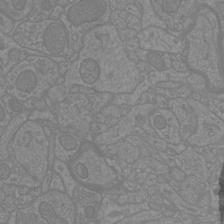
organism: Mouse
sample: Cortical neurons